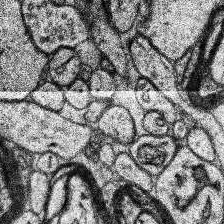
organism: Human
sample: Temporal Lobe